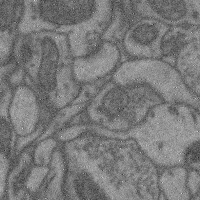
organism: Mouse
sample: Cerebral cortex